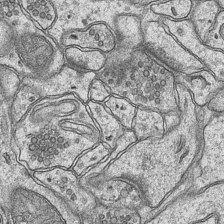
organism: Mouse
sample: CA1 Hippocampus